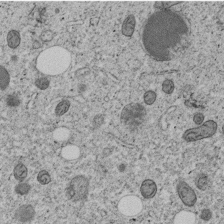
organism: C. elegans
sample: C. elegans embryo early stage